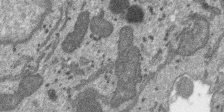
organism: Human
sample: Lung epithelial cells infected with SARS-CoV-2